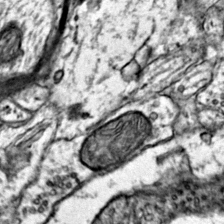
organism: Mouse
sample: Primary visual cortex